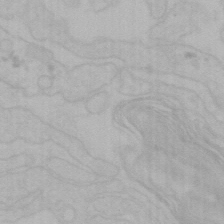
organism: Mouse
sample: Choroid plexus